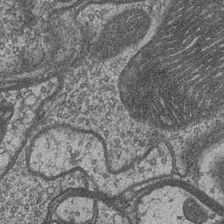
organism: Drosophila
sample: Optic medulla